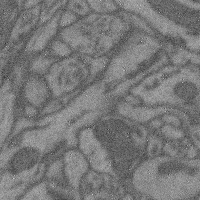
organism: Mouse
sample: Cerebral cortex